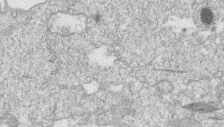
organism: Human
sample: HeLa cell HIV synapse